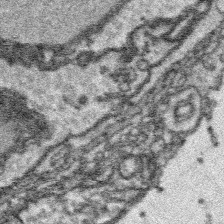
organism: Platynereis dumerilii